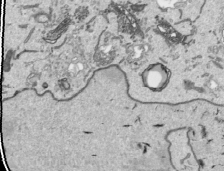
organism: Human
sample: Mitochondria in HCT116 cells